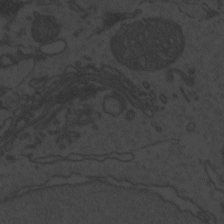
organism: Zebrafish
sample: Macrophage infected with Toxoplasma gondii